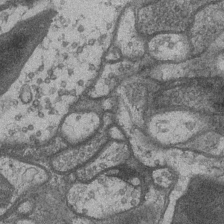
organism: Drosophila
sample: Optic medulla